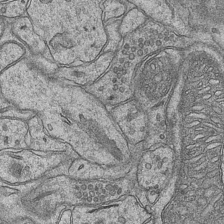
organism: Mouse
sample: CA1 Hippocampus